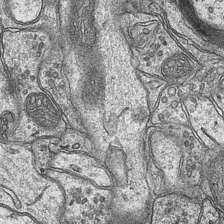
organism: Mouse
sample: CA1 Hippocampus